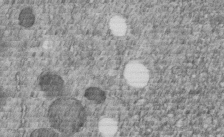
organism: C. elegans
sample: C. elegans embryo early stage